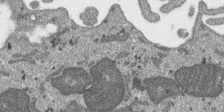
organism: Human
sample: Lung epithelial cells infected with SARS-CoV-2